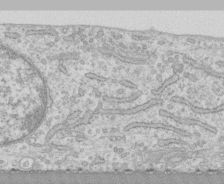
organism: Human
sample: CRL-1474